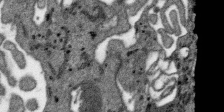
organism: Human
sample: Lung epithelial cells, uninfected (mock) control